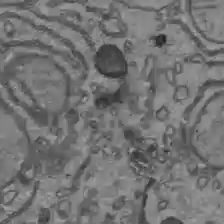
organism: C57BL Mouse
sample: Liver